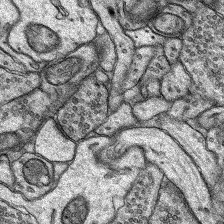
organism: Rat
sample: Hippocampus